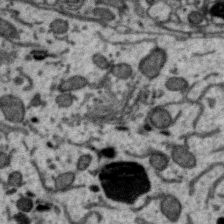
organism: Zebra finch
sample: Brain